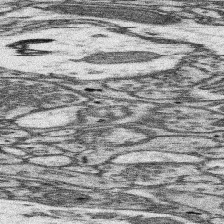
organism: Mouse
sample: Somatosensory cortex neuropil